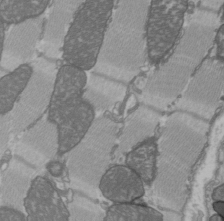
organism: C57BL Mouse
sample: Heart